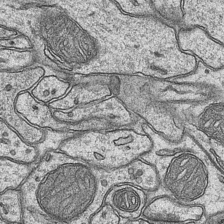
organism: Mouse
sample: CA1 Hippocampus